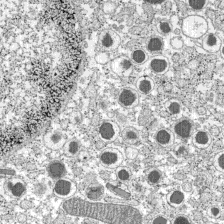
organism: C57BL Mouse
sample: Pancreatic islet